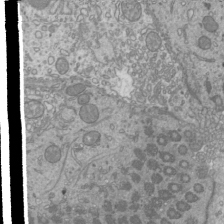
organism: Mouse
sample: Cilia; mouse epididymis